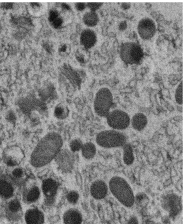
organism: C. elegans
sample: C. elegans oocyte; sperm cells